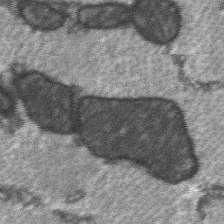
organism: C57BL Mouse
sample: Soleus